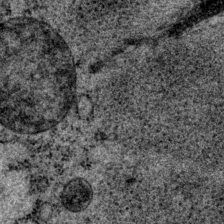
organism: P. pacificus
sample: Pharynx